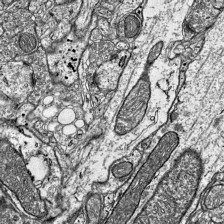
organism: Mouse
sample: Visual Cortex